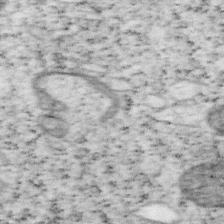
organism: Mouse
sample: OT-I killer T cells with ID8 ovarian cancer cells